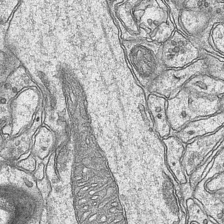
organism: Mouse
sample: CA1 Hippocampus